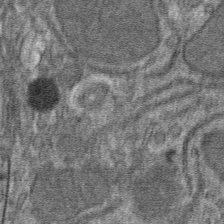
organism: Mouse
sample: Mouse hepatocytes